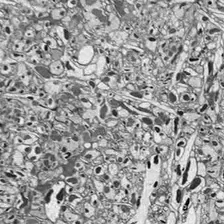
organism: Drosophila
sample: Optic lobe